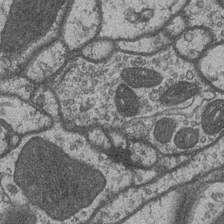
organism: Drosophila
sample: Optic medulla